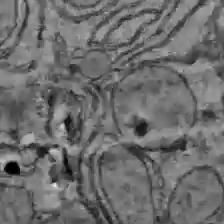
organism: C57BL Mouse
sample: Liver